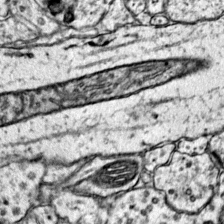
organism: Mouse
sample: Primary visual cortex